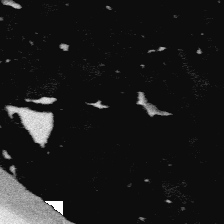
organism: Platynereis dumerilii